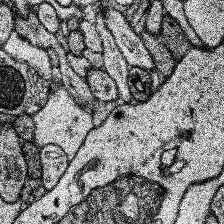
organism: Human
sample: Temporal Lobe